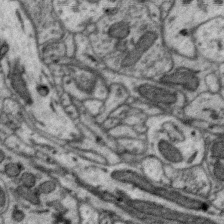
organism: Zebra finch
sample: Brain